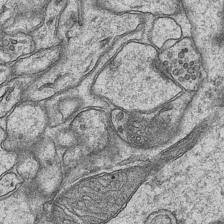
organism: Mouse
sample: CA1 Hippocampus